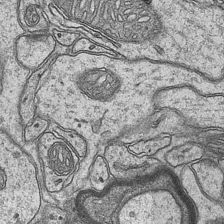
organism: Mouse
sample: CA1 Hippocampus